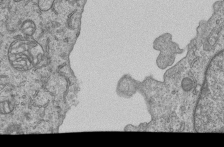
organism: Human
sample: MDA-MB-231 cells